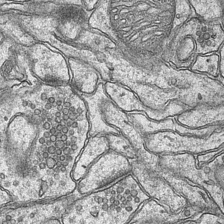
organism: Mouse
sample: CA1 Hippocampus